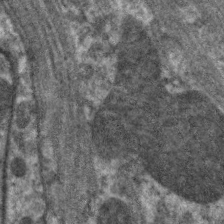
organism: C. elegans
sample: Pharynx